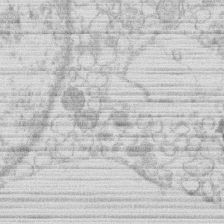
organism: Human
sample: Macrophage cells